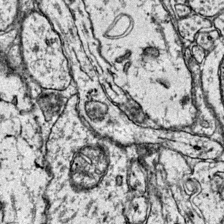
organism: Mouse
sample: Primary visual cortex